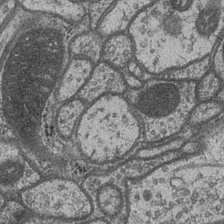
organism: Drosophila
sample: Optic medulla